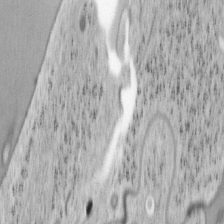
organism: Human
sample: HeLa cells